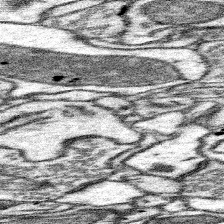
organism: Mouse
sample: Somatosensory cortex neuropil